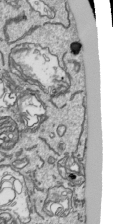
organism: Human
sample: Mitochondria in HCT116 cells